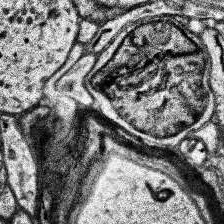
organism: Human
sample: Temporal Lobe